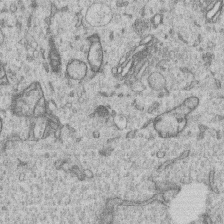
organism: Human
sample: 1205lu cells